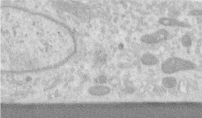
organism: Human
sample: Centriole in RPE cells